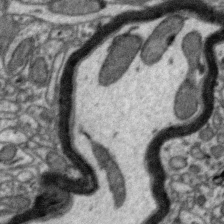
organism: Zebra finch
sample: Brain